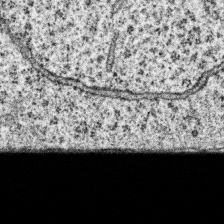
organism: Human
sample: HeLa cells